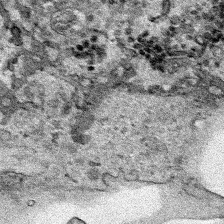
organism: Human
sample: Mitochondria in HCT116 cells